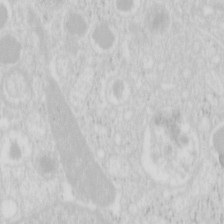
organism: Mouse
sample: Pancreas